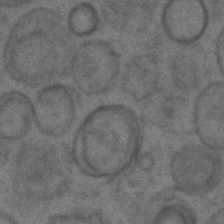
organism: C. elegans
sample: C. elegans embryo